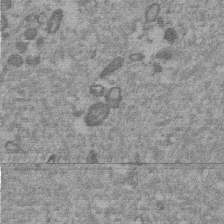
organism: Mouse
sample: Dividing mouse embryo 1 cell stage